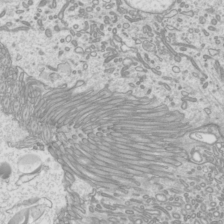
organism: Mouse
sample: Cilia; mouse epididymis